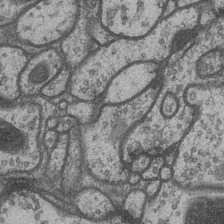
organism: Drosophila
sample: Optic medulla